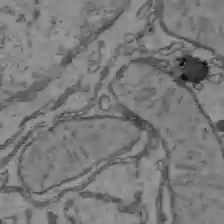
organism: C57BL Mouse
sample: Liver